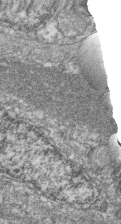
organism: Zebrafish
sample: Cilia; retinal pigment epithelium